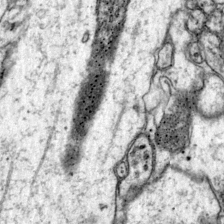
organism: Mouse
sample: Primary visual cortex